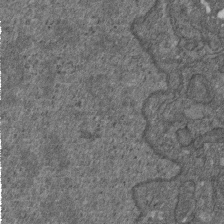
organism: Drosophila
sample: Nephrocyte